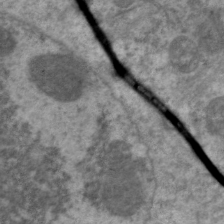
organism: C. elegans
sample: Pharynx